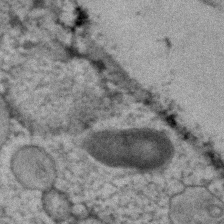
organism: Human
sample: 1205lu cells